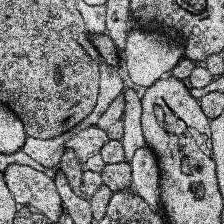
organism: Human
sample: Temporal Lobe